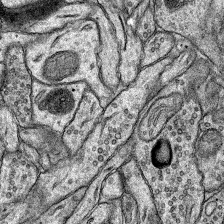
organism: Rat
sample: Hippocampus